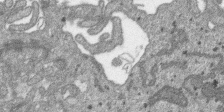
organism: Human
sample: Lung epithelial cells infected with SARS-CoV-2